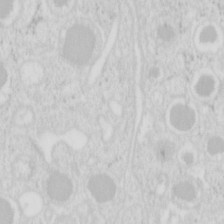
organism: Mouse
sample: Pancreas